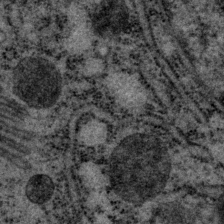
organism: P. pacificus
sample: Pharynx